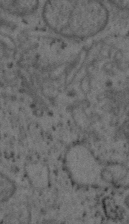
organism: Human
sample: HeLa cells